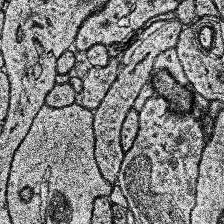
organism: Human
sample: Temporal Lobe